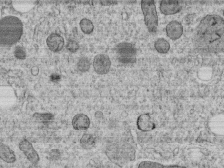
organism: C. elegans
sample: C. elegans embryo early stage